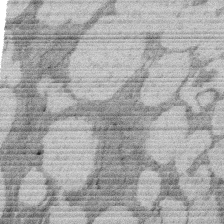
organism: Rat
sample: Salivary granule